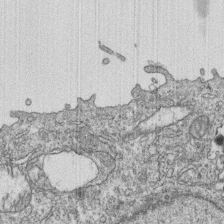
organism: Human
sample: HeLa cell HIV synapse